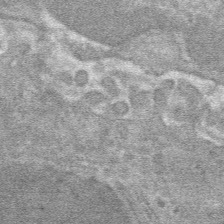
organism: Mouse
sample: Mouse hepatocytes